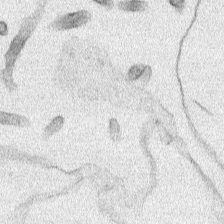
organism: Human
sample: Mitochondria in HCT116 cells